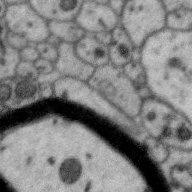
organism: Zebra finch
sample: Brain